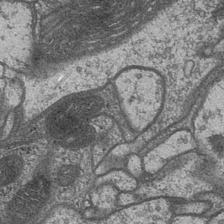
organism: Drosophila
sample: Optic medulla